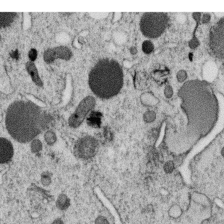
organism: C. elegans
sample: C. elegans oocyte; sperm cells